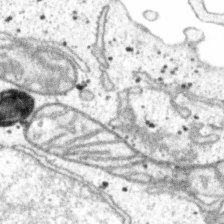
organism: Human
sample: HeLa cells